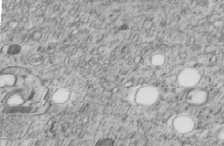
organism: C. elegans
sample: C. elegans embryo early stage